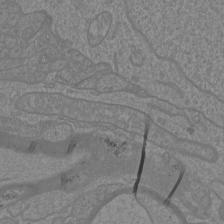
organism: Mouse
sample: Cortical neurons